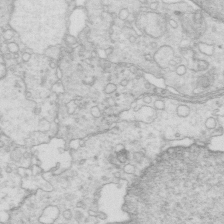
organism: Mouse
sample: Multiciliated cells